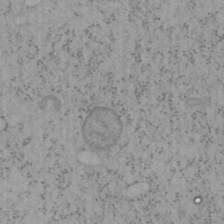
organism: Mouse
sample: OT-I killer T cells with ID8 ovarian cancer cells